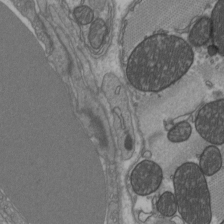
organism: C57BL Mouse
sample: Heart